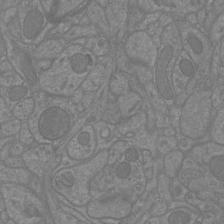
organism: Mouse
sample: Cortical neurons